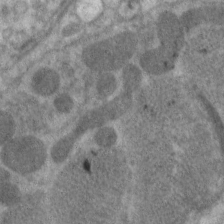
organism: C. elegans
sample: Pharynx